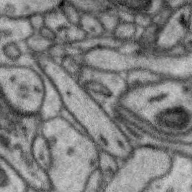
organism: Zebra finch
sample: Brain